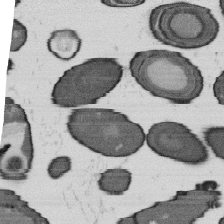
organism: B. subtilis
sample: Bacterial spore